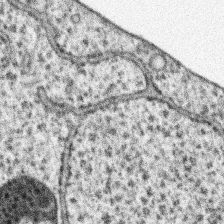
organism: Human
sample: HeLa cells